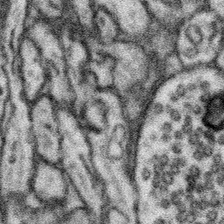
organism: Mouse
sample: Somatosensory cortex neuropil